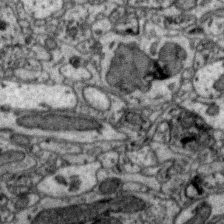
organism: Zebra finch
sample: Brain